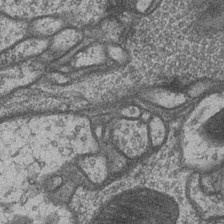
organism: Drosophila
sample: Optic medulla